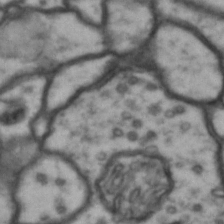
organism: Drosophila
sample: Brain